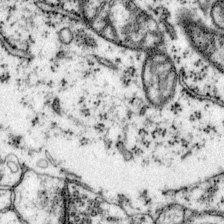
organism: Mouse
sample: Primary visual cortex